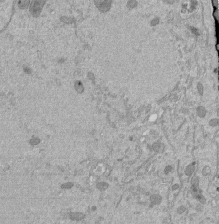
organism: Mouse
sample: ED-1 cell nuclei; centrioles